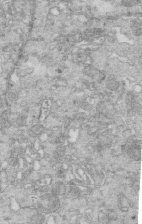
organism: Mouse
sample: Multiciliated cells